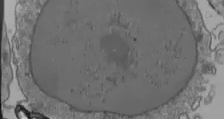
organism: Human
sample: Jurkat E6-1 and CD4 cells